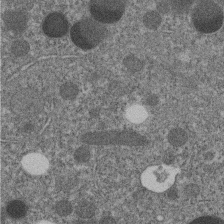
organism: C. elegans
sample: C. elegans embryo early stage